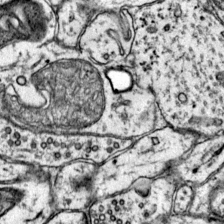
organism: Mouse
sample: Primary visual cortex